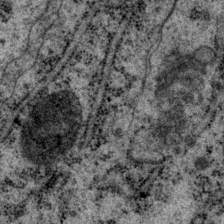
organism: P. pacificus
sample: Pharynx